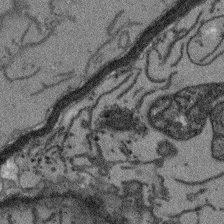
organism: Arabidopsis thaliana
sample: Root tip